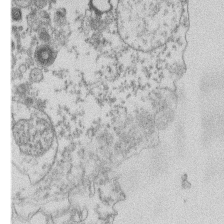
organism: Human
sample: HeLa cell HIV synapse